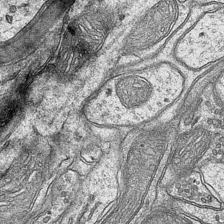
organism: Mouse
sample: CA1 Hippocampus